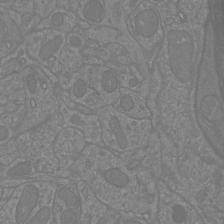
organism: Mouse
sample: Cortical neurons